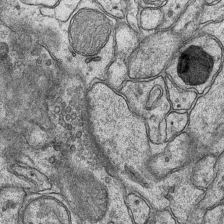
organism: Mouse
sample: CA1 Hippocampus